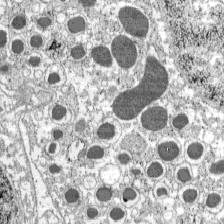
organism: C57BL Mouse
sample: Pancreatic islet